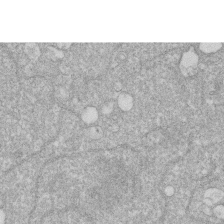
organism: Human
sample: HIV infected U937 cells